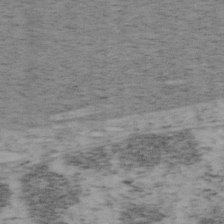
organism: Mouse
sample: OT-I killer T cells with ID8 ovarian cancer cells